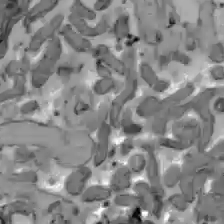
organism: C57BL Mouse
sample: Liver